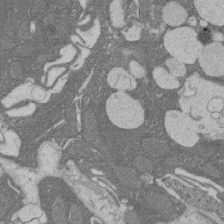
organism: Rat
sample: Salivary granule